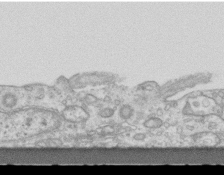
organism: Mouse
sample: Centriole in ependymal cells